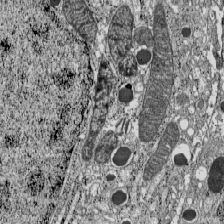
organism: C57BL Mouse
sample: Pancreatic islet